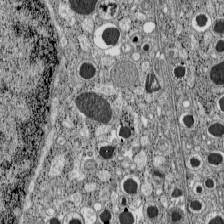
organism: C57BL Mouse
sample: Pancreatic islet